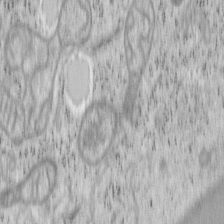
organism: Human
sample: HeLa cells